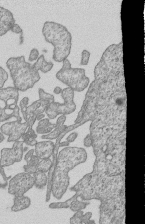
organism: Human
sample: MDA-MB-231 cells